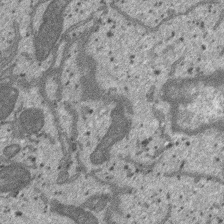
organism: Human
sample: Lung epithelial cells infected with SARS-CoV-2